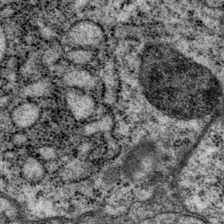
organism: P. pacificus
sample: Pharynx